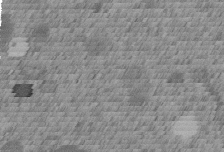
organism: C. elegans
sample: C. elegans embryo early stage